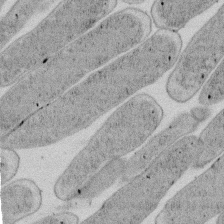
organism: E. coli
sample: Bacterial nucleoid